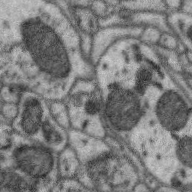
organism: Zebra finch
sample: Brain